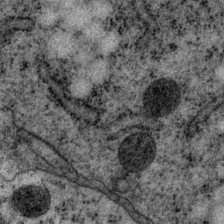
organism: P. pacificus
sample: Pharynx